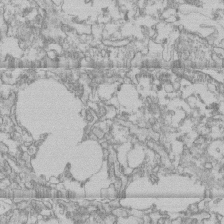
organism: Human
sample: CRL-1474